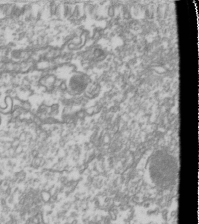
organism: Drosophila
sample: Cell division; meiosis; drosophila spermatocytes